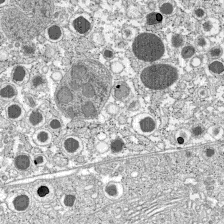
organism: C57BL Mouse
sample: Pancreatic islet